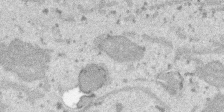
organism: Human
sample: Lung epithelial cells infected with SARS-CoV-2